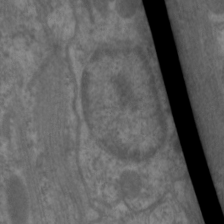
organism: C. elegans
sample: Pharynx